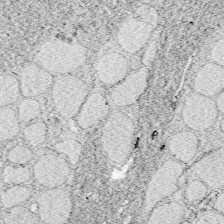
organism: Zebrafish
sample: Whole-Brain